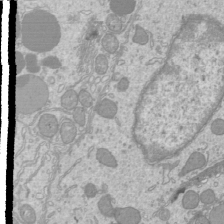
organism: Mouse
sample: Cilia; mouse epididymis